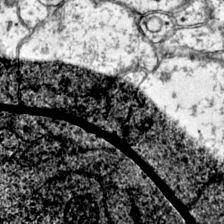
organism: Mouse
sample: Primary visual cortex